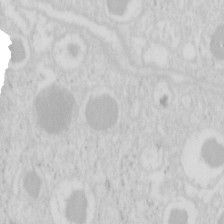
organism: Mouse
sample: Pancreas